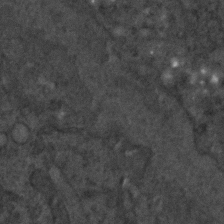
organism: C. elegans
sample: C. elegans embryo